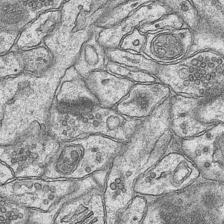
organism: Mouse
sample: CA1 Hippocampus